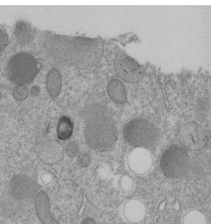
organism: C. elegans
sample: C. elegans embryo early stage